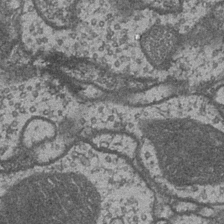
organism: Drosophila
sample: Optic medulla